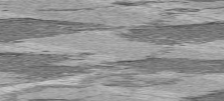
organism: C57BL Mouse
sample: Heart